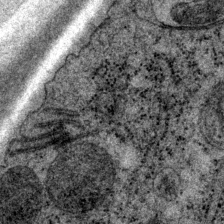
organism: P. pacificus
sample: Pharynx